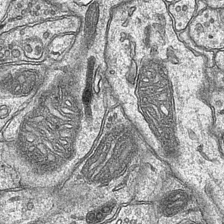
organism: Mouse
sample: CA1 Hippocampus